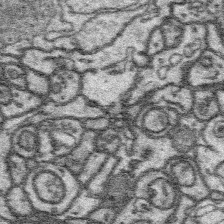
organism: Platynereis dumerilii